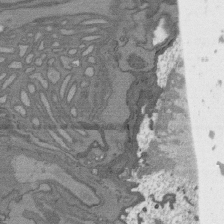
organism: C. elegans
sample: AFD neurons C. elegans